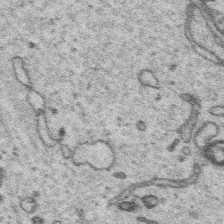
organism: Platynereis dumerilii